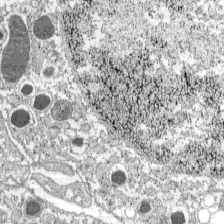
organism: C57BL Mouse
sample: Pancreatic islet